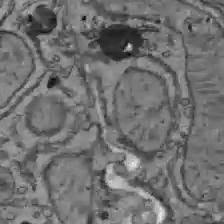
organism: C57BL Mouse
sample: Liver